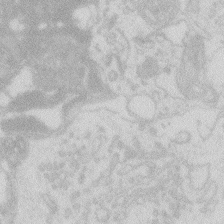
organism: Zebrafish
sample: Macrophage